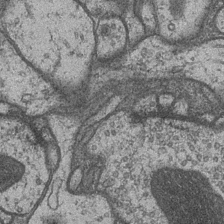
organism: Drosophila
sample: Optic medulla